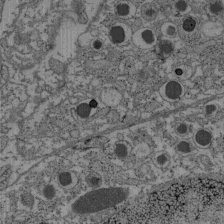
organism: C57BL Mouse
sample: Pancreatic islet